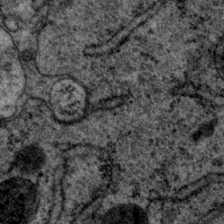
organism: P. pacificus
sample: Pharynx